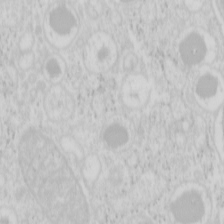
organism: Mouse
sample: Pancreas